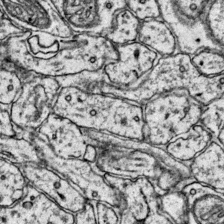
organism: Mouse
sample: Primary visual cortex